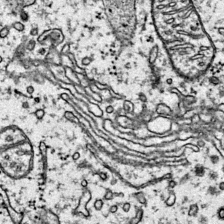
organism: Mouse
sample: Primary visual cortex